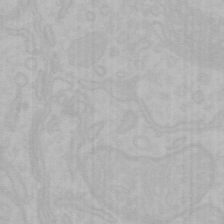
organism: Mouse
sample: Choroid plexus